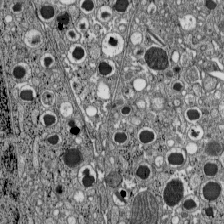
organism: C57BL Mouse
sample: Pancreatic islet